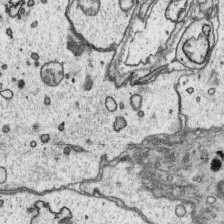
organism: Platynereis dumerilii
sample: Parapodia